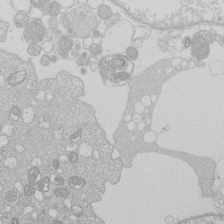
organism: Human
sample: Macrophage cells